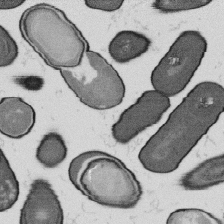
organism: B. subtilis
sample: Bacterial spore